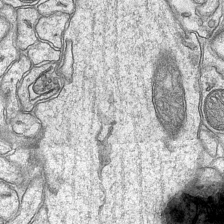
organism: Mouse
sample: CA1 Hippocampus